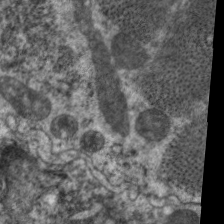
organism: C. elegans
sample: Pharynx